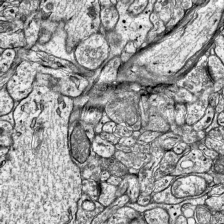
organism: Mouse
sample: Visual Cortex